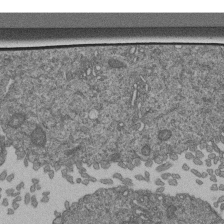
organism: Human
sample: Retinal organoid Rod and Cone cells